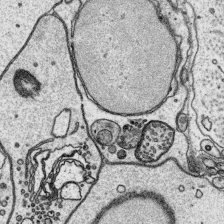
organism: Platynereis dumerilii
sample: Parapodia